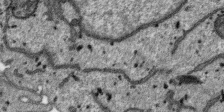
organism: Human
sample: Lung epithelial cells, uninfected (mock) control